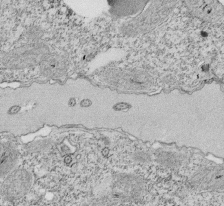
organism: Tetrahymena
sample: Cilia in tetrahymena